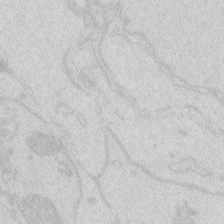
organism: Zebrafish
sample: Macrophage